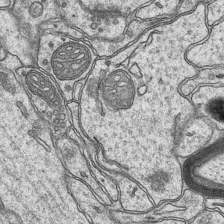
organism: Mouse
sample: CA1 Hippocampus